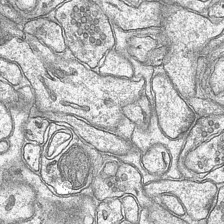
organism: Mouse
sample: CA1 Hippocampus